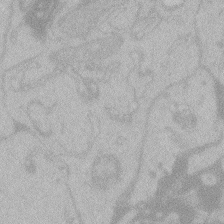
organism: Zebrafish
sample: Macrophage infected with Toxoplasma gondii